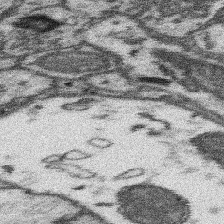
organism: Mouse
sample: Somatosensory cortex neuropil